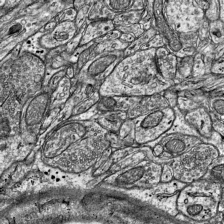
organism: Mouse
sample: Visual Cortex